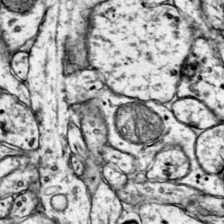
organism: Mouse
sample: Primary visual cortex